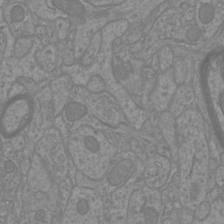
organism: Mouse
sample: Cortical neurons